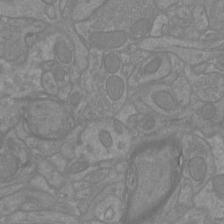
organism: Mouse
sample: Cortical neurons